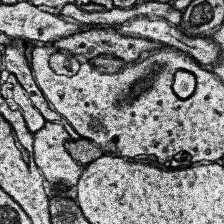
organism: Human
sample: Temporal Lobe